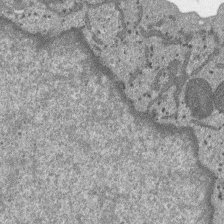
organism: Human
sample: Lung epithelial cells infected with SARS-CoV-2